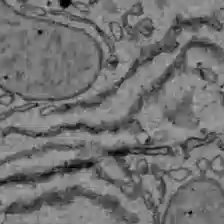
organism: C57BL Mouse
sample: Liver